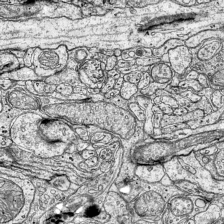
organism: Mouse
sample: Visual Cortex